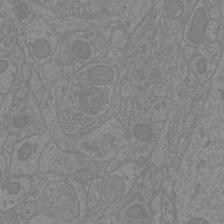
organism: Mouse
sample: Cortical neurons